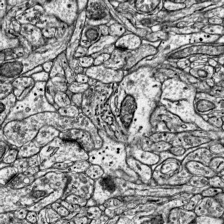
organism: Mouse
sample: Visual Cortex